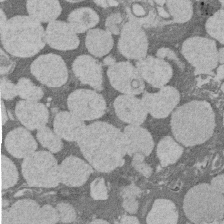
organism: Rat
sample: Salivary granule